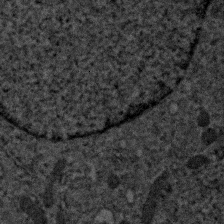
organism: Human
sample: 1205lu cells